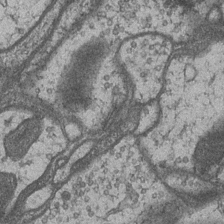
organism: Drosophila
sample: Optic medulla